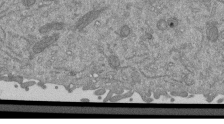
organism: Mouse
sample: ED-1 cell nuclei; centrioles